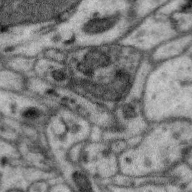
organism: Zebra finch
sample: Brain